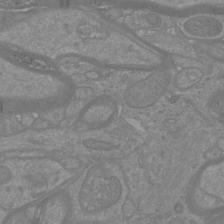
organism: Mouse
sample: Cortical neurons